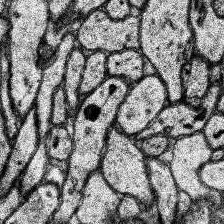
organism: Human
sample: Temporal Lobe